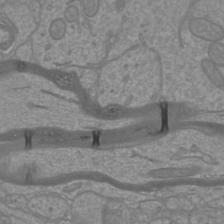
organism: Mouse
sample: Cortical neurons